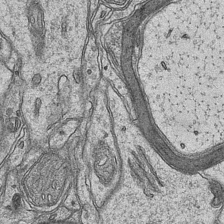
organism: Mouse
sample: CA1 Hippocampus